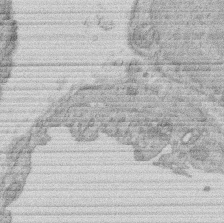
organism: Rat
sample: Salivary granule